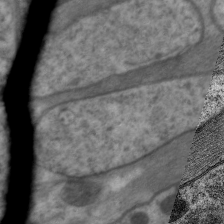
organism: C. elegans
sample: Pharynx